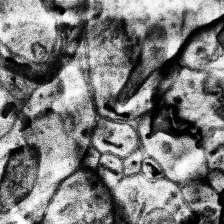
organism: Human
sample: Temporal Lobe